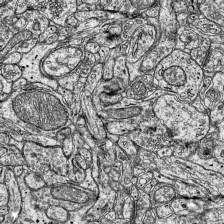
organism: Mouse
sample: Visual Cortex